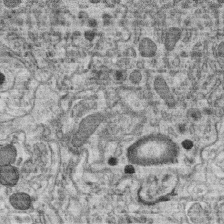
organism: C. elegans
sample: C. elegans oocyte; sperm cells